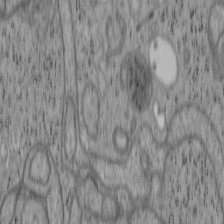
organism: Human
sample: HeLa cells